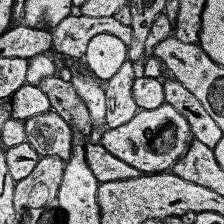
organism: Human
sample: Temporal Lobe